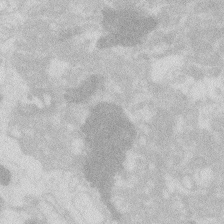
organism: Zebrafish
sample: Macrophage